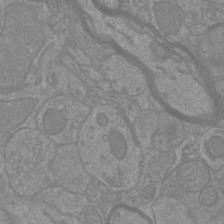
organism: Mouse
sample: Cortical neurons